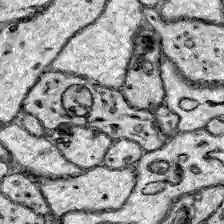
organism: Zebrafish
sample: Brain